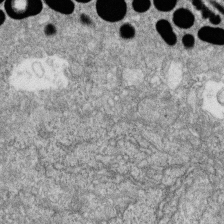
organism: Zebrafish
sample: Cilia; retinal pigment epithelium